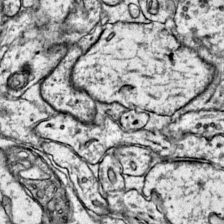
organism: Mouse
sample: Primary visual cortex